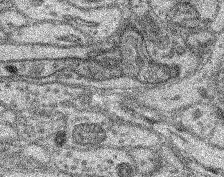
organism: Mouse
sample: Retina